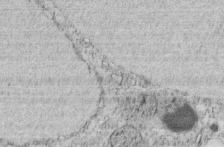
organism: C. elegans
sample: C. elegans embryo early stage